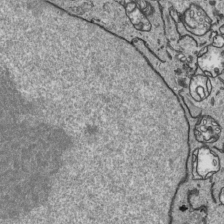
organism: Human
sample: Mitochondria in HCT116 cells